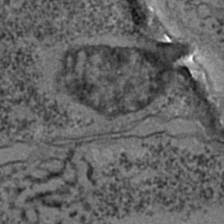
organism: C. elegans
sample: C. elegans embryo